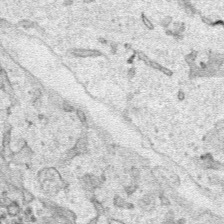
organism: Human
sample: Mitochondria in HCT116 cells